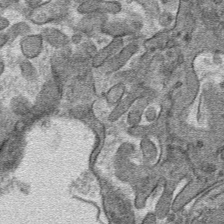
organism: Mouse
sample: Mouse hepatocytes